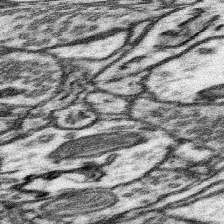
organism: Mouse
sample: Somatosensory cortex neuropil